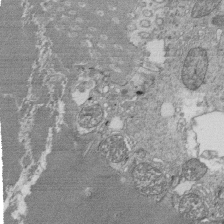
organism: Tetrahymena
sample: Cilia in tetrahymena